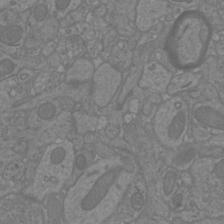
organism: Mouse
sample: Cortical neurons